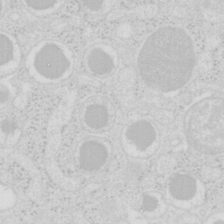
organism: Mouse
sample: Pancreas